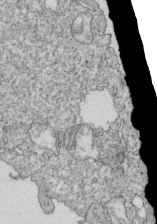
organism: Human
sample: HeLa cell HIV synapse